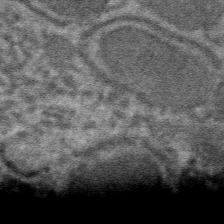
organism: Mouse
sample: Mouse hepatocytes